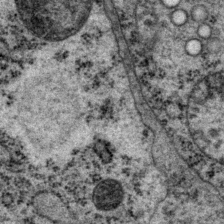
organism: P. pacificus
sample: Pharynx